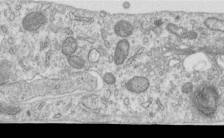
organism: Human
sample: Centriole in RPE cells